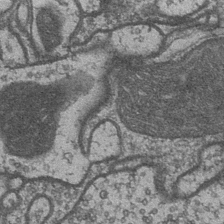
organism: Drosophila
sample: Optic medulla